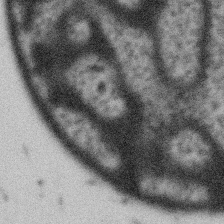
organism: Gemmata obscuriglobus